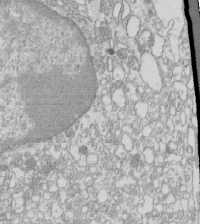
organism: Mouse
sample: Macrophages